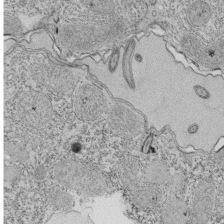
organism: Tetrahymena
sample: Cilia in tetrahymena